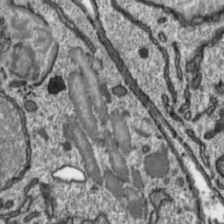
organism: Toxoplasma gondii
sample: Parasites in a vacuole inside a host cell